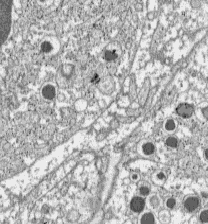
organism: C57BL Mouse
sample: Pancreatic islet